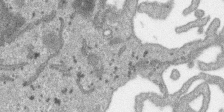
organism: Human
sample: Lung epithelial cells infected with SARS-CoV-2